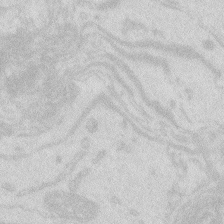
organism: Zebrafish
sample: Macrophage